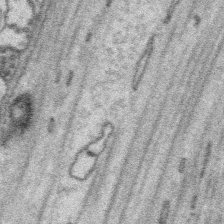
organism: Platynereis dumerilii